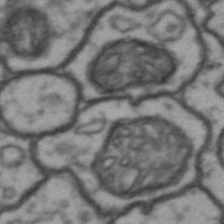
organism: Drosophila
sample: Brain